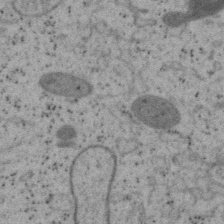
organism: Human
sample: HeLa cells